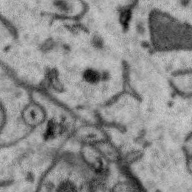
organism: Zebra finch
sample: Brain